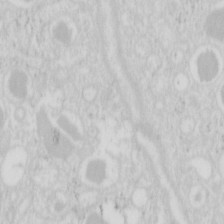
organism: Mouse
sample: Pancreas